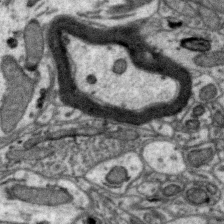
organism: Zebra finch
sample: Brain